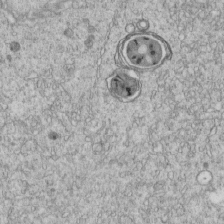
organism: C. elegans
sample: C. elegans embryo early stage